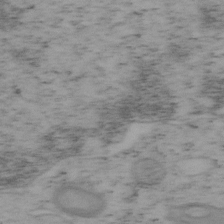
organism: Mouse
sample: OT-I killer T cells with ID8 ovarian cancer cells